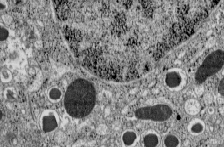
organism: C57BL Mouse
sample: Pancreatic islet